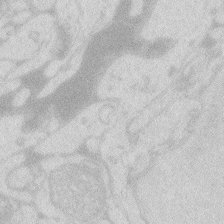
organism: Zebrafish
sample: Macrophage